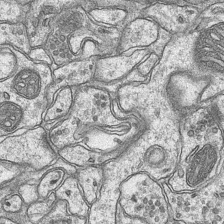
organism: Mouse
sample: CA1 Hippocampus